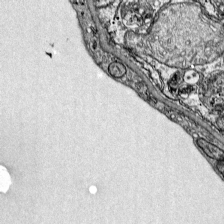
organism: Mouse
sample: Visual Cortex